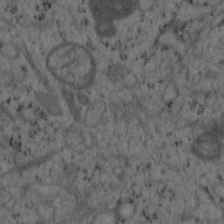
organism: Human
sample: HeLa cells